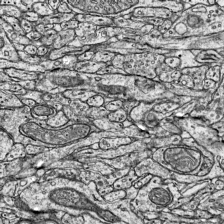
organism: Mouse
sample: Visual Cortex